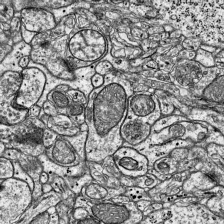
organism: Mouse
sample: Visual Cortex